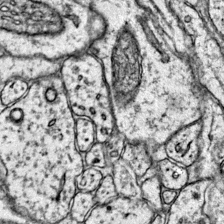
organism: Mouse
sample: Primary visual cortex